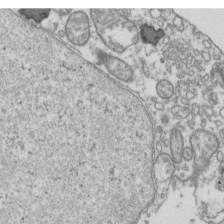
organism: Human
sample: Activated Jurkat CD4+ T cells